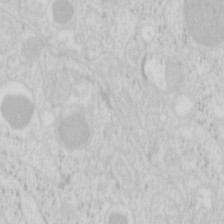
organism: Mouse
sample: Pancreas